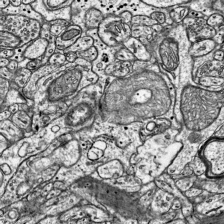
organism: Mouse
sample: Visual Cortex